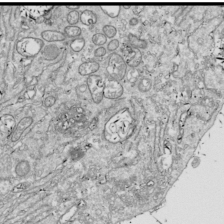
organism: Drosophila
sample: Cell division; meiosis; drosophila spermatocytes